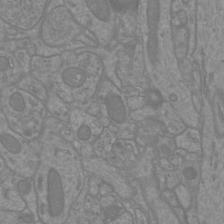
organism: Mouse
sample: Cortical neurons